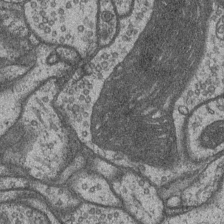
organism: Drosophila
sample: Optic medulla